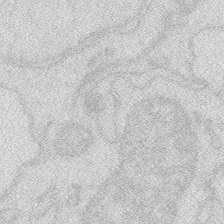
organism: Zebrafish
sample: Macrophage